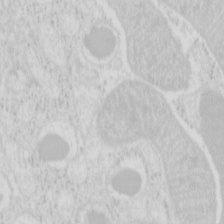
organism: Mouse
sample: Pancreas